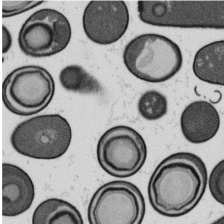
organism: B. subtilis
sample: Bacterial spore